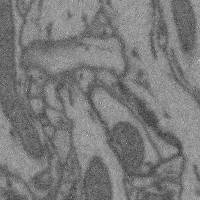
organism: Mouse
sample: Cerebral cortex